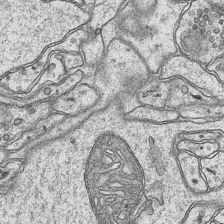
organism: Mouse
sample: CA1 Hippocampus